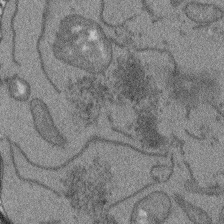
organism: Arabidopsis thaliana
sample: Root tip